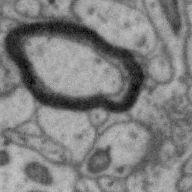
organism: Zebra finch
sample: Brain